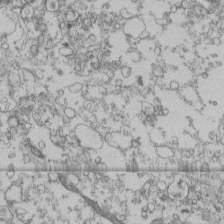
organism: Human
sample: Fibroblast cells